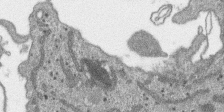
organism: Human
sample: Lung epithelial cells infected with SARS-CoV-2